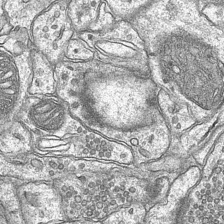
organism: Mouse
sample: CA1 Hippocampus